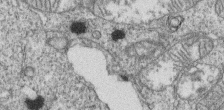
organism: Human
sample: HeLa cell HIV synapse